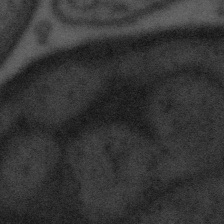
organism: Tuwongella immobilis